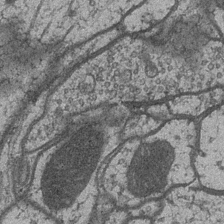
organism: Drosophila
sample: Optic medulla